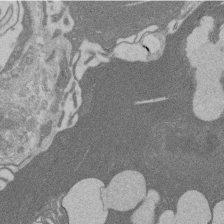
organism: Rat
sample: Salivary granule